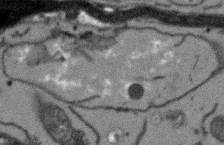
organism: Arabidopsis thaliana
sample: Root tip